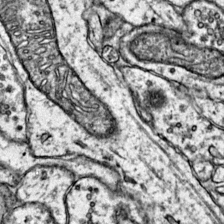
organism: Mouse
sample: Primary visual cortex